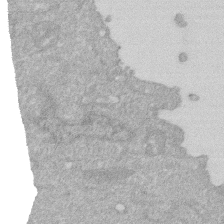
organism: Human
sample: HIV infected U937 cells